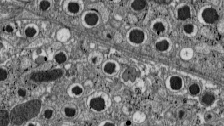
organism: C57BL Mouse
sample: Pancreatic islet